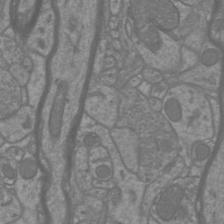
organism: Mouse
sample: Cortical neurons